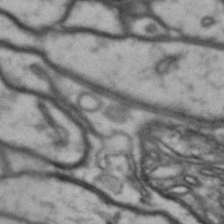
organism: Drosophila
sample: Brain